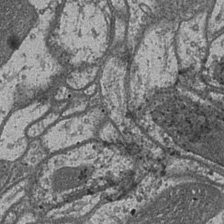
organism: Drosophila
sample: Optic medulla